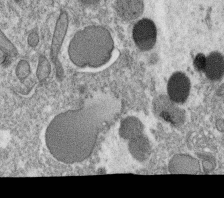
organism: C. elegans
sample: C. elegans oocyte; sperm cells